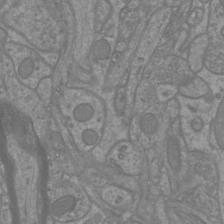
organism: Mouse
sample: Cortical neurons